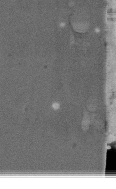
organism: Human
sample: Melanocyte Keratinocyte synapse skin construct